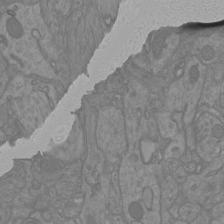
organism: Mouse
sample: Cortical neurons